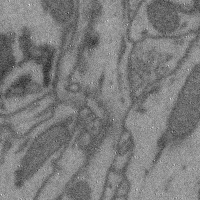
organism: Mouse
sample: Cerebral cortex